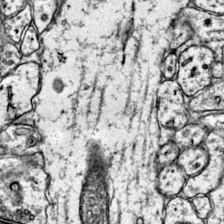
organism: Mouse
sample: Primary visual cortex